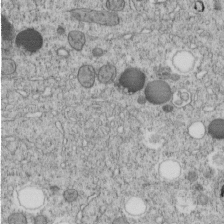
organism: C. elegans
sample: C. elegans embryo early stage